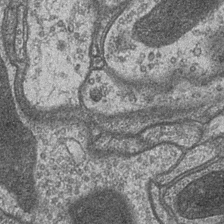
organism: Drosophila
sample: Optic medulla